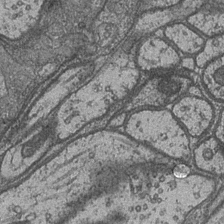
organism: Drosophila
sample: Optic medulla